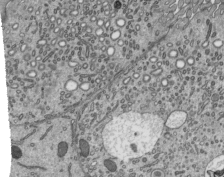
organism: Mouse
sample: Mouse epididymis efferent ductule cilia